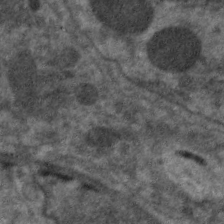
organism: C. elegans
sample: Pharynx